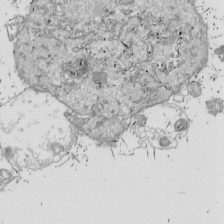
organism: Drosophila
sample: Cell division; meiosis; drosophila spermatocytes